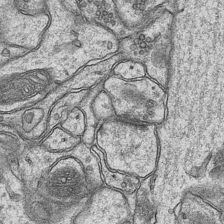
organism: Mouse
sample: CA1 Hippocampus